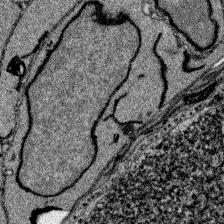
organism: Zebrafish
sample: Larval olfactory bulb